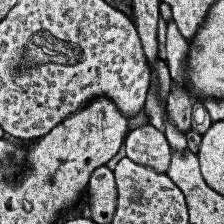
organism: Human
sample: Temporal Lobe